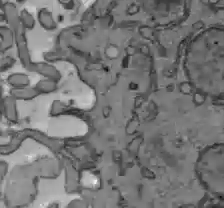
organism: C57BL Mouse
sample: Liver